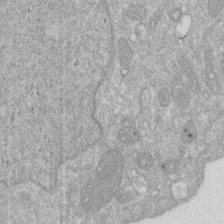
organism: Human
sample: HIV infected U937 cells